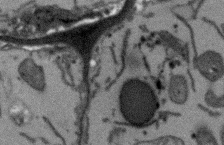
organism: Arabidopsis thaliana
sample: Root tip